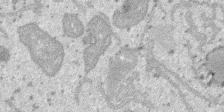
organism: Human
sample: Lung epithelial cells infected with SARS-CoV-2